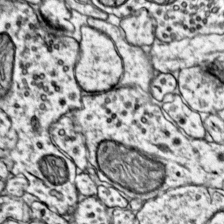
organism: Mouse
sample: Primary visual cortex